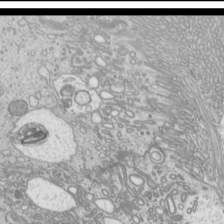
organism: Mouse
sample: Cilia; mouse epididymis